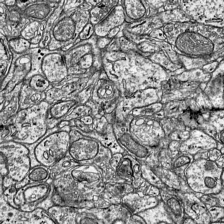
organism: Mouse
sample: Visual Cortex